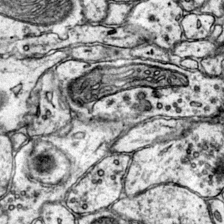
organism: Mouse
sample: Primary visual cortex